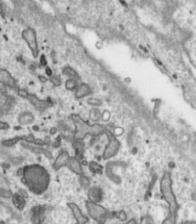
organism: Toxoplasma gondii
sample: Parasites in a vacuole inside a host cell